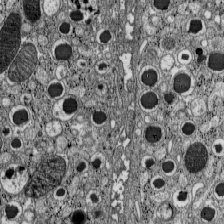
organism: C57BL Mouse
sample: Pancreatic islet